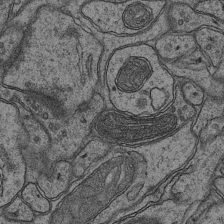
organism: Mouse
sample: CA1 Hippocampus